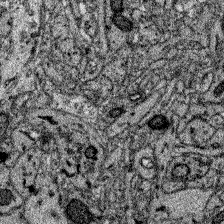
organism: Zebrafish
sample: Larval olfactory bulb